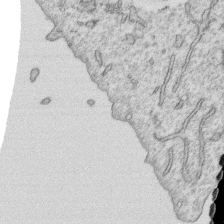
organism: Human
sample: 1205lu cells